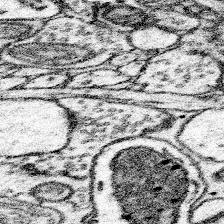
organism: Mouse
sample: Somatosensory cortex neuropil